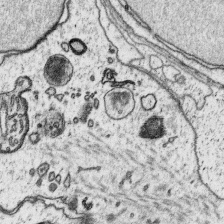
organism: Platynereis dumerilii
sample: Parapodia